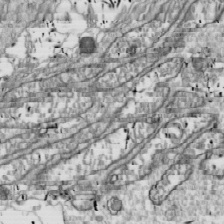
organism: Drosophila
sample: Cell division; meiosis; drosophila spermatocytes